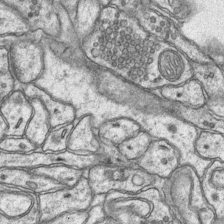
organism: Mouse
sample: CA1 Hippocampus